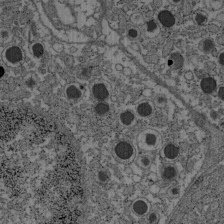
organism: C57BL Mouse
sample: Pancreatic islet